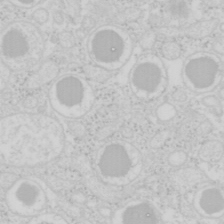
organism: Mouse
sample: Pancreas